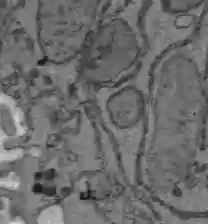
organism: C57BL Mouse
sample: Liver